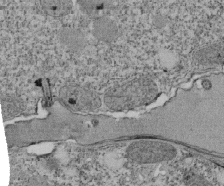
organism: Tetrahymena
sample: Cilia in tetrahymena